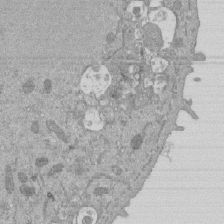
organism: Mouse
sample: ED-1 cell nuclei; centrioles